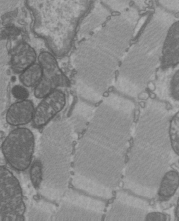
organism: C57BL Mouse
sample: Heart